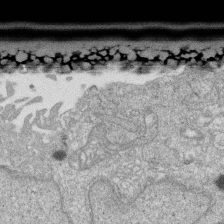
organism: Human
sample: HeLa cell HIV synapse